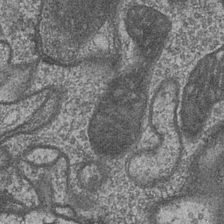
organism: Drosophila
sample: Optic medulla